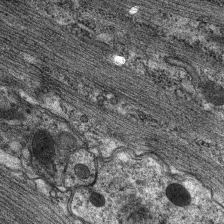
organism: C. elegans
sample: Pharynx